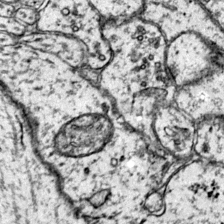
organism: Mouse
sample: Primary visual cortex